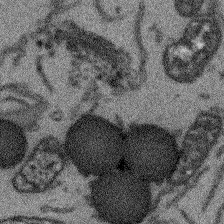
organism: Arabidopsis thaliana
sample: Root tip